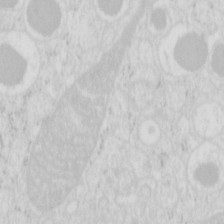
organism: Mouse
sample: Pancreas